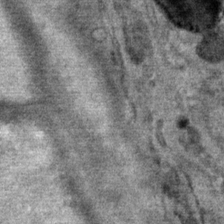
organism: Mouse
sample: Mouse Salivary gland